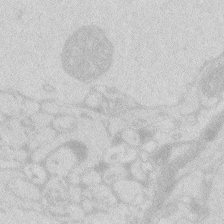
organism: Zebrafish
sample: Macrophage